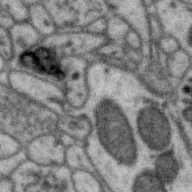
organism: Zebra finch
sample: Brain